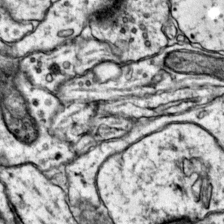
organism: Mouse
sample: Primary visual cortex